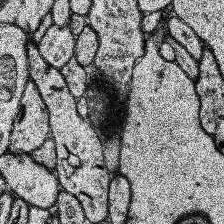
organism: Human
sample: Temporal Lobe